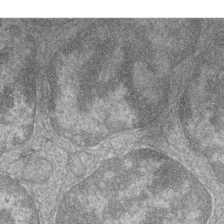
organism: Zebrafish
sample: Cilia; retinal pigment epithelium